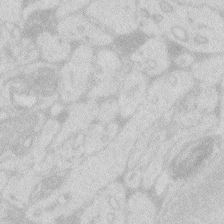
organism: Zebrafish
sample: Macrophage